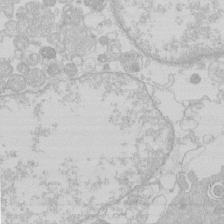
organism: Human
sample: Macrophage cells